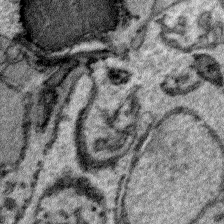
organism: Plasmodium falciparum